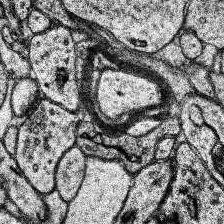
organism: Human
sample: Temporal Lobe